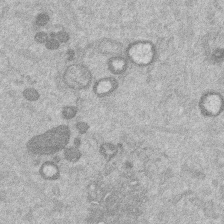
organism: Mouse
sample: Dividing mouse embryo 1 cell stage